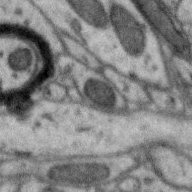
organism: Zebra finch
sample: Brain